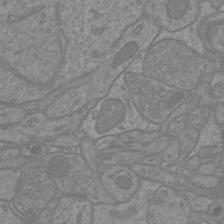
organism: Mouse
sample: Cortical neurons